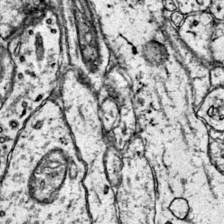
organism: Mouse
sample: Primary visual cortex